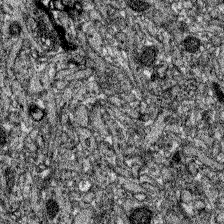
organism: Zebrafish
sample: Larval olfactory bulb